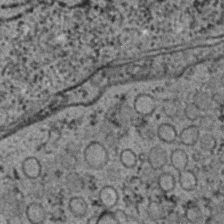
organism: C. elegans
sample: C. elegans embryo